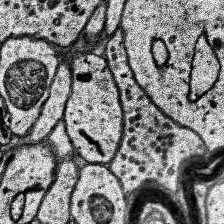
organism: Human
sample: Temporal Lobe